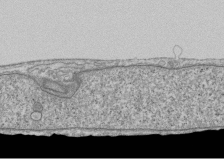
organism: Human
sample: Fibroblast cells